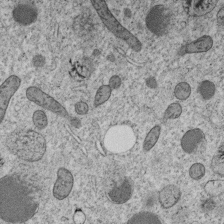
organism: C. elegans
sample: C. elegans embryo early stage